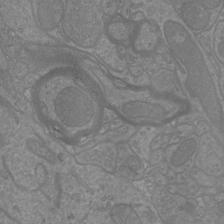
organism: Mouse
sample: Cortical neurons